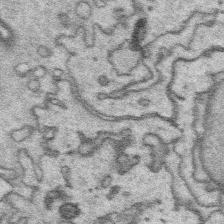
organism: Platynereis dumerilii